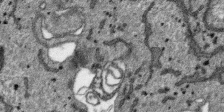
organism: Human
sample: Lung epithelial cells, uninfected (mock) control